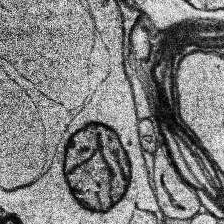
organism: Human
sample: Temporal Lobe